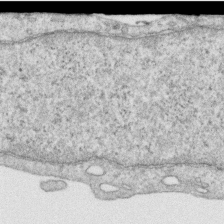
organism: Human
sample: Centriole in RPE cells